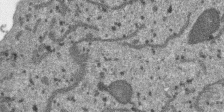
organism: Human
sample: Lung epithelial cells infected with SARS-CoV-2